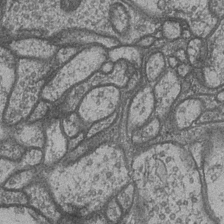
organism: Drosophila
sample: Optic medulla